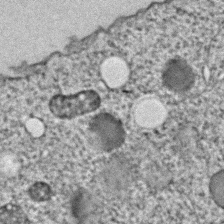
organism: C. elegans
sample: C. elegans embryo